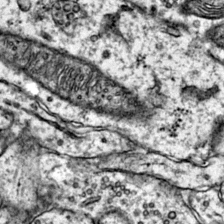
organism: Mouse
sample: Primary visual cortex